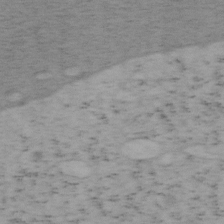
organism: Mouse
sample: OT-I killer T cells with ID8 ovarian cancer cells